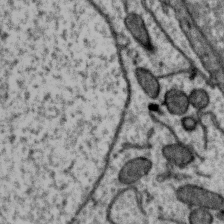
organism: Zebra finch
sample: Brain